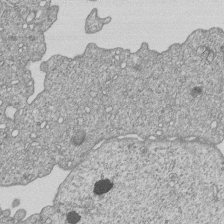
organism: Human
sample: MDA-MB-231 cells